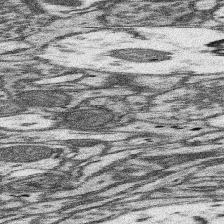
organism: Mouse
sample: Somatosensory cortex neuropil